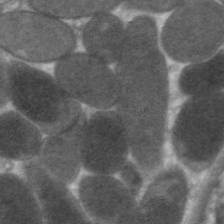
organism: C. elegans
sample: Pharynx